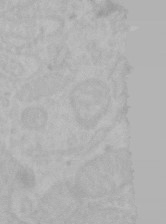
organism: Mouse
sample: Choroid plexus